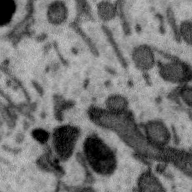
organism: Zebra finch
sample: Brain